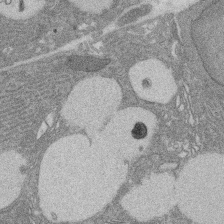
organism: Rat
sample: Salivary granule